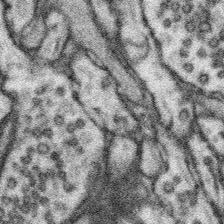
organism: Mouse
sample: Somatosensory cortex neuropil